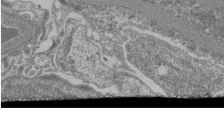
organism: Mouse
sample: Glomerulus